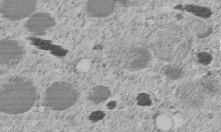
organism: C. elegans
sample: C. elegans embryo early stage